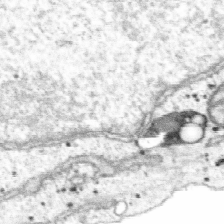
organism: Human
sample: HeLa cells